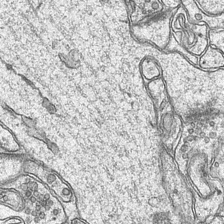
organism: Mouse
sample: CA1 Hippocampus